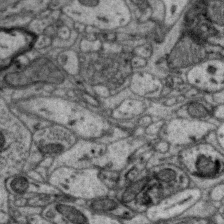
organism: Zebra finch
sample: Brain